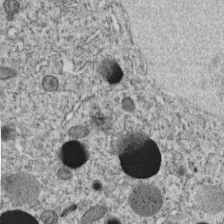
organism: C. elegans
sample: C. elegans embryo early stage